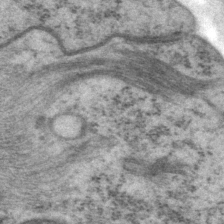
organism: P. pacificus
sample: Pharynx